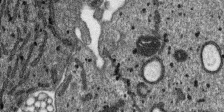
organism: Human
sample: Lung epithelial cells infected with SARS-CoV-2